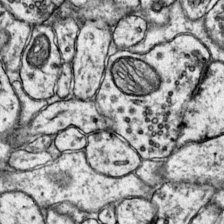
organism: Mouse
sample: Primary visual cortex